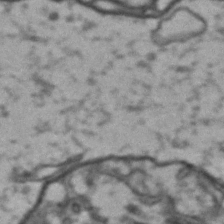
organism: Drosophila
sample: Brain